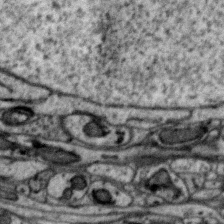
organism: Zebra finch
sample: Brain